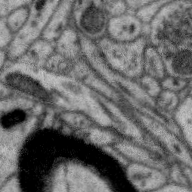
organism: Zebra finch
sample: Brain